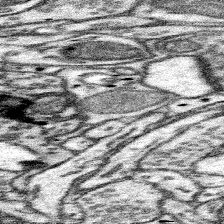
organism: Mouse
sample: Somatosensory cortex neuropil